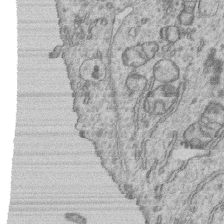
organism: Human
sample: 1205lu cells